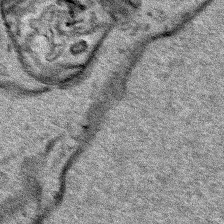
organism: Human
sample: Mitochondria in HCT116 cells